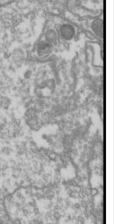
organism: Drosophila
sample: Cell division; meiosis; drosophila spermatocytes